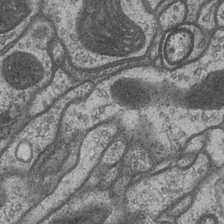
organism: Drosophila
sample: Optic medulla